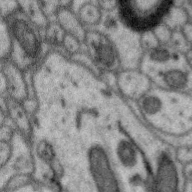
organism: Zebra finch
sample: Brain